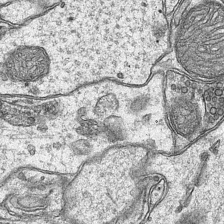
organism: Mouse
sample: CA1 Hippocampus